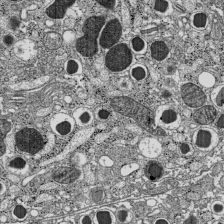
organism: C57BL Mouse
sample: Pancreatic islet